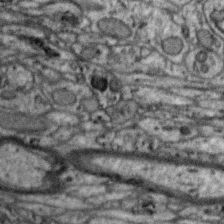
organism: Zebra finch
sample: Brain